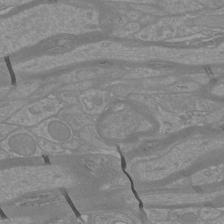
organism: Mouse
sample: Cortical neurons